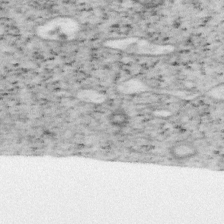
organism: Mouse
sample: OT-I killer T cells with ID8 ovarian cancer cells